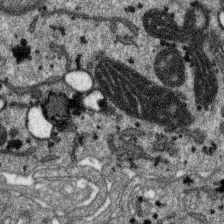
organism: Human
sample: Lung epithelial cells infected with SARS-CoV-2